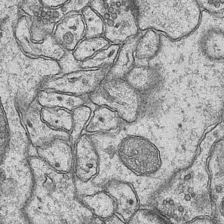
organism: Mouse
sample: CA1 Hippocampus